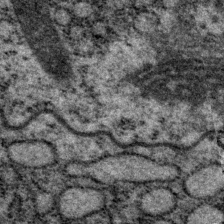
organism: P. pacificus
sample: Pharynx